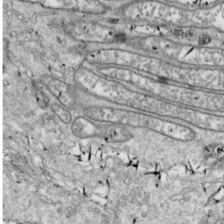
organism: Drosophila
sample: Cell division; meiosis; drosophila spermatocytes